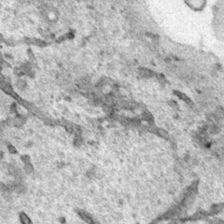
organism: Human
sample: Mitochondria in HCT116 cells